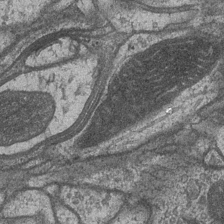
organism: Drosophila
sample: Optic medulla